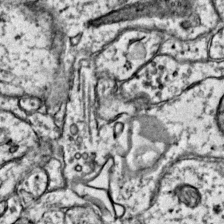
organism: Mouse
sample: Primary visual cortex